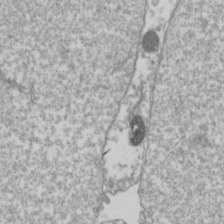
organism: Drosophila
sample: Cell division; meiosis; drosophila spermatocytes